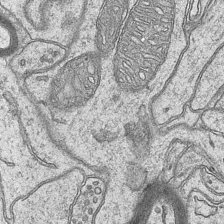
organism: Mouse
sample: CA1 Hippocampus